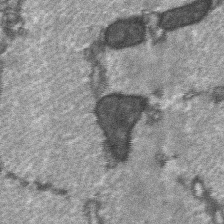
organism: C57BL Mouse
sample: Soleus